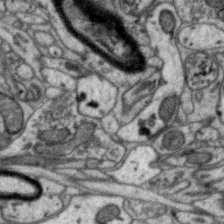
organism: Zebra finch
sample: Brain